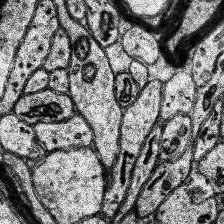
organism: Human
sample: Temporal Lobe